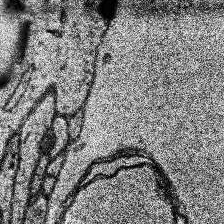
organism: Human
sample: Temporal Lobe